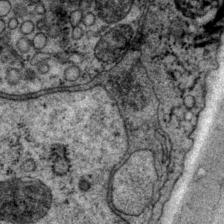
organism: P. pacificus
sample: Pharynx